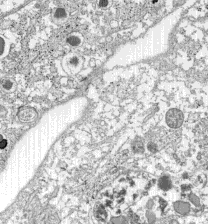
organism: C57BL Mouse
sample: Pancreatic islet